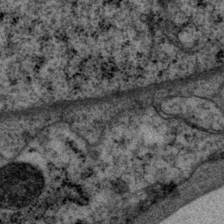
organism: P. pacificus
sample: Pharynx